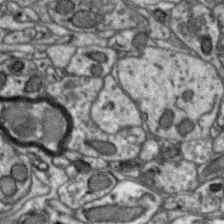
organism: Zebra finch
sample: Brain